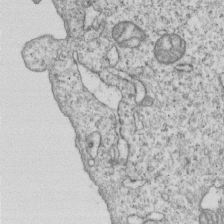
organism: Human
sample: MDA-MB-231 cells